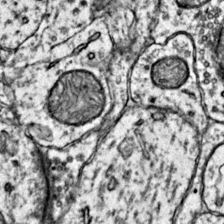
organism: Mouse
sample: Primary visual cortex